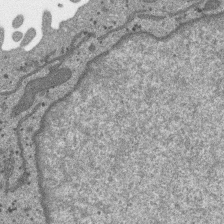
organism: Human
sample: Lung epithelial cells infected with SARS-CoV-2